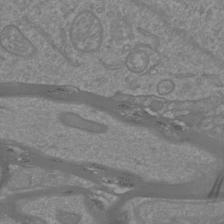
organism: Mouse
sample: Cortical neurons